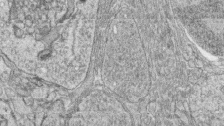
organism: Zebrafish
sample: synaptic ribbons in rod cells and cone cells